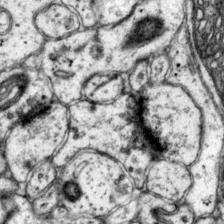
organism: Mouse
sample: Primary visual cortex